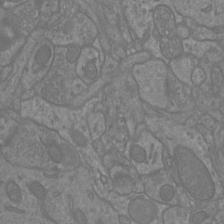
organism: Mouse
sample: Cortical neurons